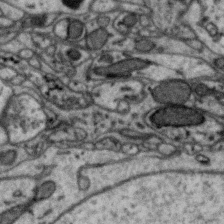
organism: Zebra finch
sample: Brain